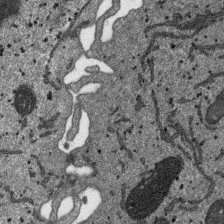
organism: Human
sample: Lung epithelial cells infected with SARS-CoV-2